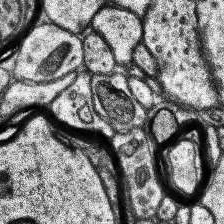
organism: Human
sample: Temporal Lobe